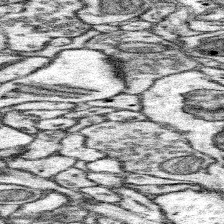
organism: Mouse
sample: Somatosensory cortex neuropil